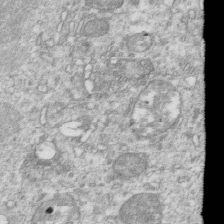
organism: Mouse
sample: Activated OT-1 CD8+ T cells